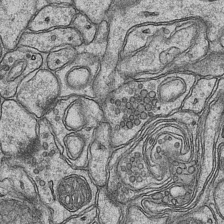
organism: Mouse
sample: CA1 Hippocampus